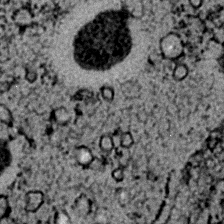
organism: C. elegans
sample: C. elegans embryo